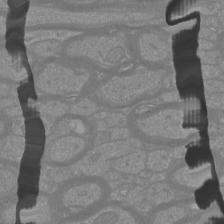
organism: Mouse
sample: Cortical neurons